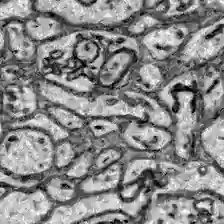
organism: Zebrafish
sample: Brain